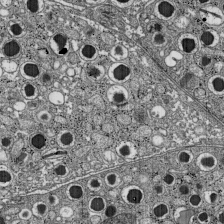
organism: C57BL Mouse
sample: Pancreatic islet